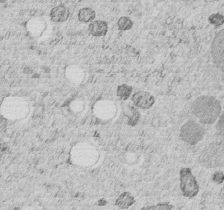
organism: C. elegans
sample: C. elegans embryo early stage